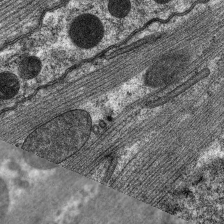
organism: C. elegans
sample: Pharynx